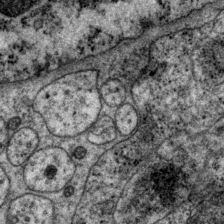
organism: P. pacificus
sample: Pharynx